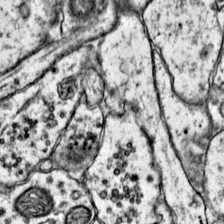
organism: Mouse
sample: Primary visual cortex